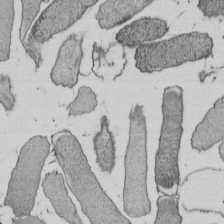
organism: E. coli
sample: Bacterial nucleoid